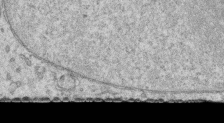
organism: Human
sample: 1205lu cells